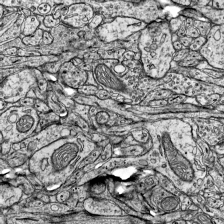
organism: Mouse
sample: Visual Cortex